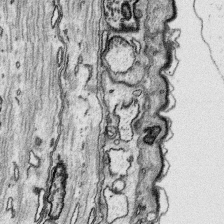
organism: Platynereis dumerilii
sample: Parapodia